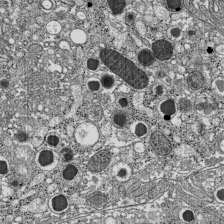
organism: C57BL Mouse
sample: Pancreatic islet